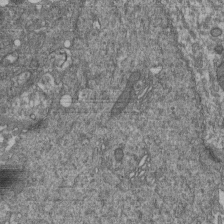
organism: Human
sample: Retinal organoid Rod and Cone cells